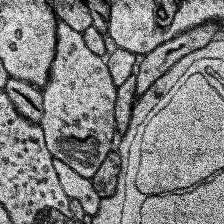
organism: Human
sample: Temporal Lobe